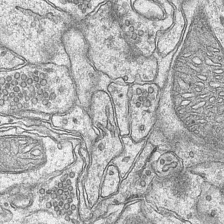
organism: Mouse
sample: CA1 Hippocampus